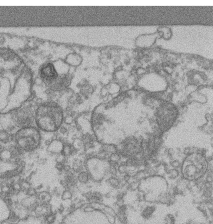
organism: Mouse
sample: T cell stromal cell synapse